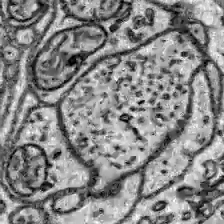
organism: Zebrafish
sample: Brain